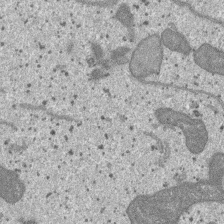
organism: Human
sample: Lung epithelial cells infected with SARS-CoV-2